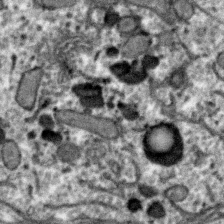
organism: Zebra finch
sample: Brain